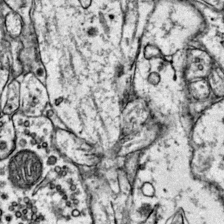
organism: Mouse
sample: Primary visual cortex